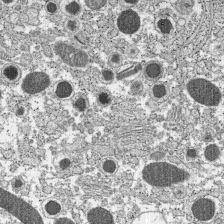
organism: C57BL Mouse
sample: Pancreatic islet